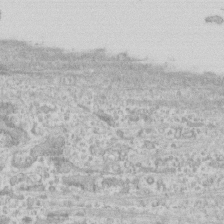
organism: Human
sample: CRL-1474